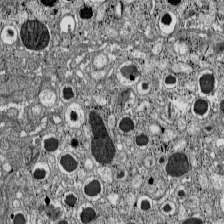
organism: C57BL Mouse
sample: Pancreatic islet